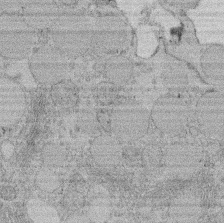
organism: Rat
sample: Salivary granule